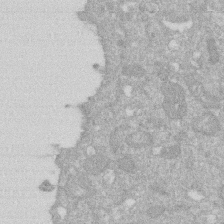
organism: Human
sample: HIV infected U937 cells